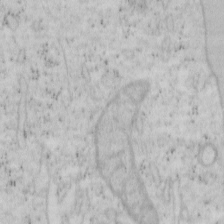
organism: Human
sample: HeLa cells